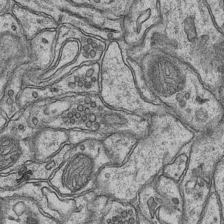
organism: Mouse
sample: CA1 Hippocampus